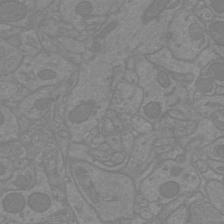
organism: Mouse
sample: Cortical neurons